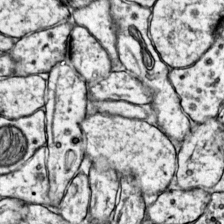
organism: Mouse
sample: Primary visual cortex